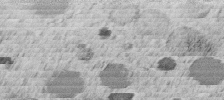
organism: C. elegans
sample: C. elegans embryo early stage